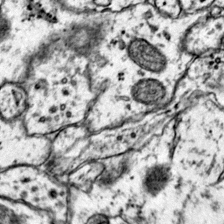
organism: Mouse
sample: Primary visual cortex